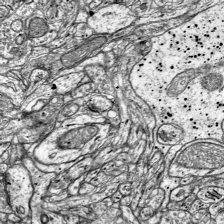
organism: Mouse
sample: Visual Cortex